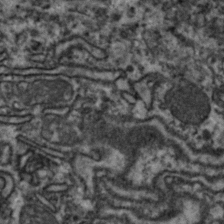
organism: Zebrafish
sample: Zebrafish embryo